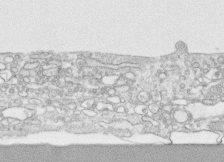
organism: Human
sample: CRL-1474